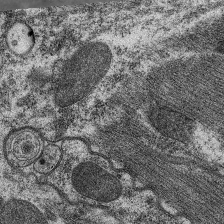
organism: C. elegans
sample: Pharynx